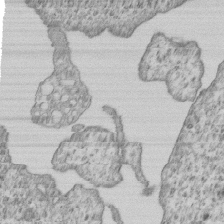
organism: Human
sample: MDA-MB-231 cells